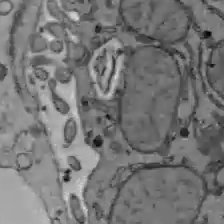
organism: C57BL Mouse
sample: Liver